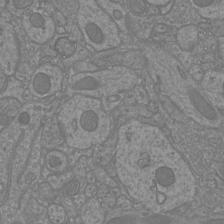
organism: Mouse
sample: Cortical neurons